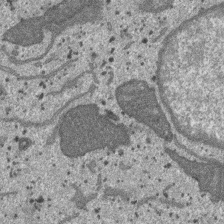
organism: Human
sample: Lung epithelial cells infected with SARS-CoV-2